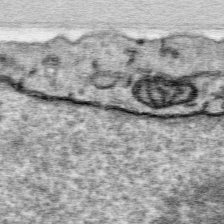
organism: Human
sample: HeLa cells